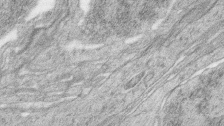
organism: Zebrafish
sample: synaptic ribbons in rod cells and cone cells